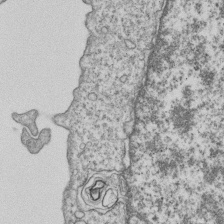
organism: Human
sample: MDA-MB-231 cells